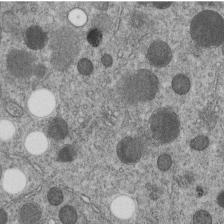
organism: C. elegans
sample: C. elegans embryo early stage